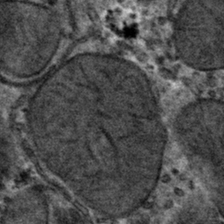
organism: Mouse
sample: Mouse hepatocytes